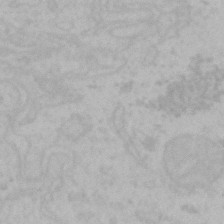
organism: Mouse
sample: Choroid plexus